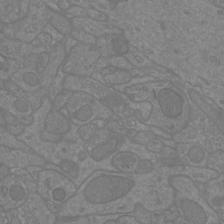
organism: Mouse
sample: Cortical neurons